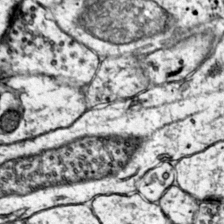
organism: Mouse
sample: Primary visual cortex